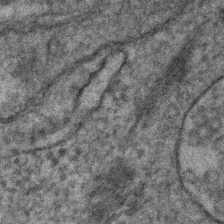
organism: Human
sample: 1205lu cells